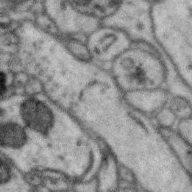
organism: Zebra finch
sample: Brain